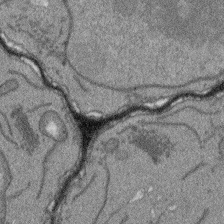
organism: Arabidopsis thaliana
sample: Root tip